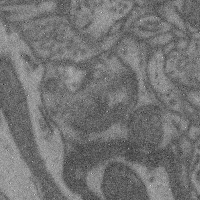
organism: Mouse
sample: Cerebral cortex